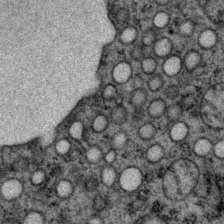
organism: P. pacificus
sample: Pharynx